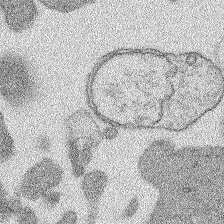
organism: Human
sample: HeLa cells